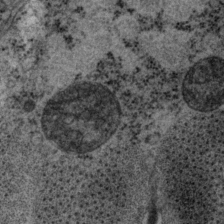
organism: P. pacificus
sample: Pharynx